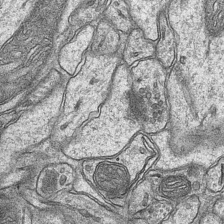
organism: Mouse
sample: CA1 Hippocampus